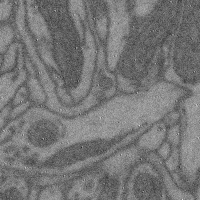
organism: Mouse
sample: Cerebral cortex